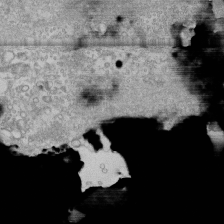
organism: Human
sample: CRL-1474